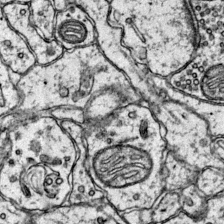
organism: Mouse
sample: Primary visual cortex